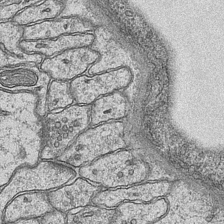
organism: Mouse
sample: CA1 Hippocampus